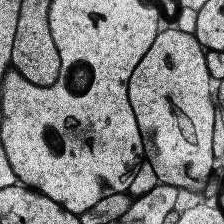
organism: Human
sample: Temporal Lobe